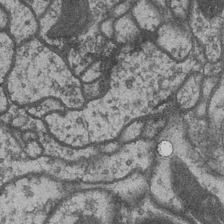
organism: Drosophila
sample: Optic medulla